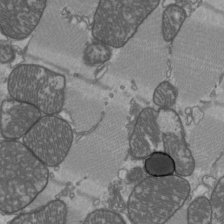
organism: C57BL Mouse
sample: Heart